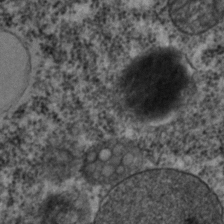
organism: C. elegans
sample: C. elegans embryo